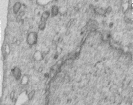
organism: Human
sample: Centriole in RPE cells